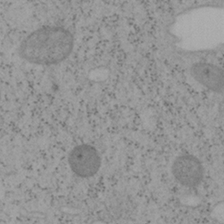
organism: Mouse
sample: OT-I killer T cells with ID8 ovarian cancer cells